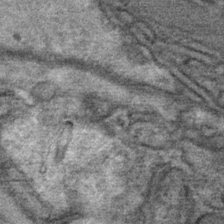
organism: Mouse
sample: Mouse Salivary gland